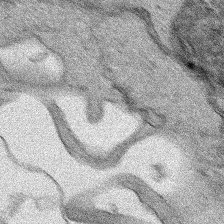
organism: Human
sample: Mitochondria in HCT116 cells